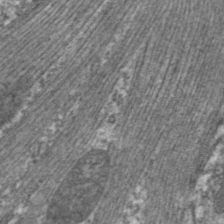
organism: C. elegans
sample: Pharynx